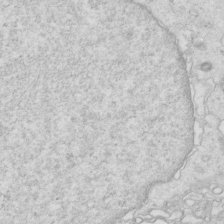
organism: Mouse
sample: Multiciliated cells